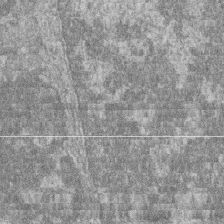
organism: Zebrafish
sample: Cilia; retinal pigment epithelium